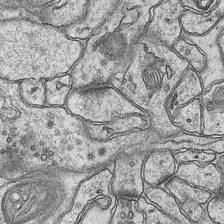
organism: Mouse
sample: CA1 Hippocampus